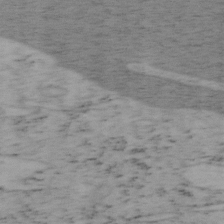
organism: Mouse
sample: OT-I killer T cells with ID8 ovarian cancer cells